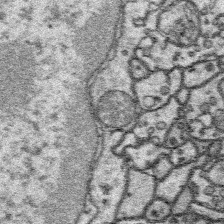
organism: Platynereis dumerilii